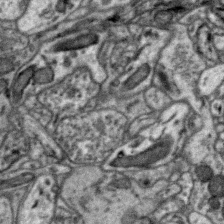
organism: Zebra finch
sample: Brain